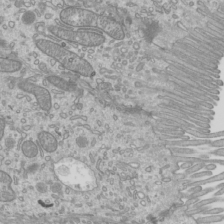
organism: Mouse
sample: Cilia; mouse epididymis